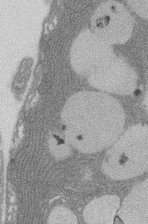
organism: Rat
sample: Salivary granule